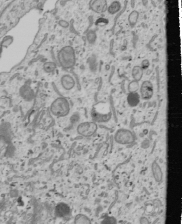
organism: Human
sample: Mitochondria in U2OS cells